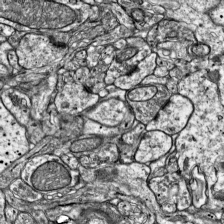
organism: Mouse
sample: Visual Cortex